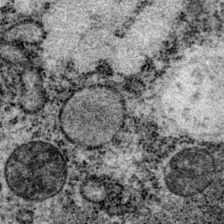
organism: P. pacificus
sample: Pharynx